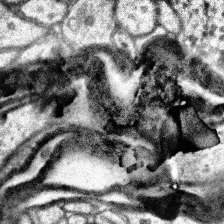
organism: Human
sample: Temporal Lobe